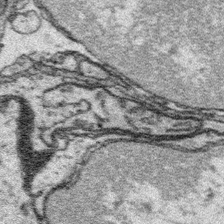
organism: Platynereis dumerilii